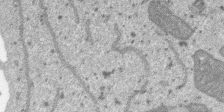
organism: Human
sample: Lung epithelial cells infected with SARS-CoV-2